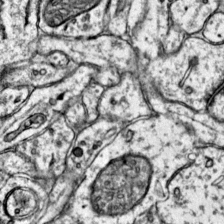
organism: Mouse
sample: Primary visual cortex